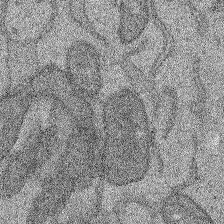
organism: Human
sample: HeLa cells